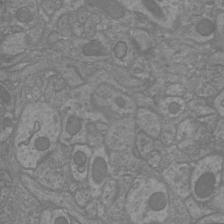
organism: Mouse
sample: Cortical neurons